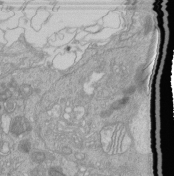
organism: Human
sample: Retinal organoid Rod and Cone cells